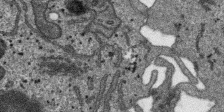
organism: Human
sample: Lung epithelial cells infected with SARS-CoV-2